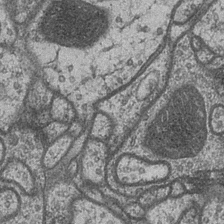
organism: Drosophila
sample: Optic medulla